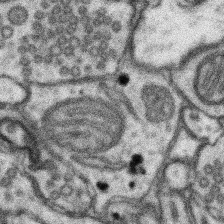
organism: Mouse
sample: Somatosensory cortex neuropil